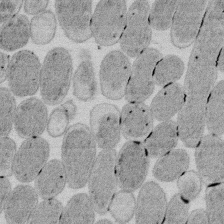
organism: E. coli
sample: Bacterial nucleoid